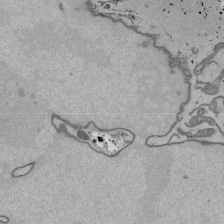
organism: Mouse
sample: ED-1 cell nuclei; centrioles